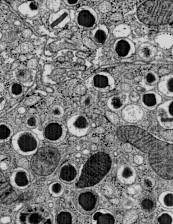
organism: C57BL Mouse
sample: Pancreatic islet